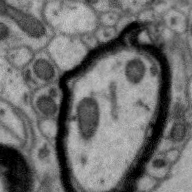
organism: Zebra finch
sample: Brain